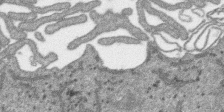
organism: Human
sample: Lung epithelial cells infected with SARS-CoV-2